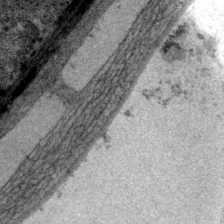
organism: P. pacificus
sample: Pharynx